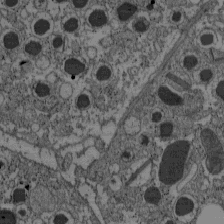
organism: C57BL Mouse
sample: Pancreatic islet